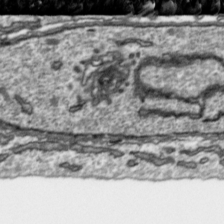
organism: Toxoplasma gondii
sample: Parasites in a vacuole inside a host cell